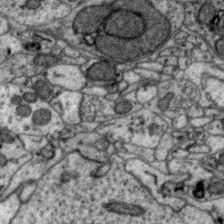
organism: Zebra finch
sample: Brain